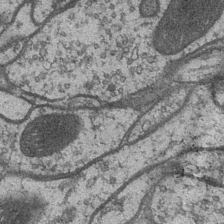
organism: Drosophila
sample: Optic medulla